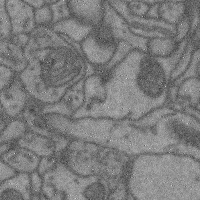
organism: Mouse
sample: Cerebral cortex